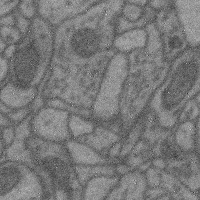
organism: Mouse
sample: Cerebral cortex